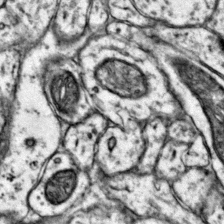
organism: Mouse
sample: Primary visual cortex